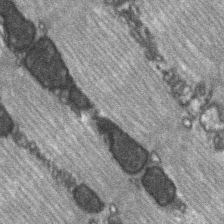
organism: C57BL Mouse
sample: Soleus